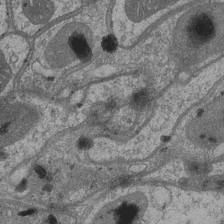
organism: Drosophila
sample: Optic medulla